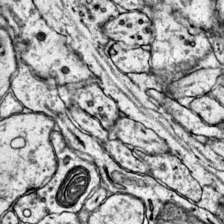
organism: Mouse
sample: Primary visual cortex